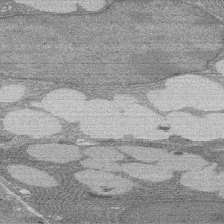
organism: Rat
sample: Salivary granule